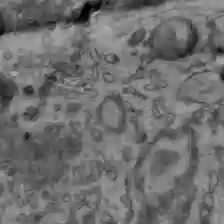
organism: C57BL Mouse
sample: Liver